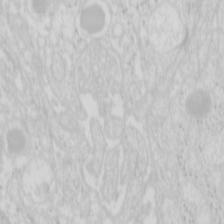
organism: Mouse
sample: Pancreas